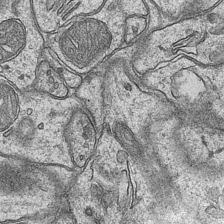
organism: Mouse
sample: CA1 Hippocampus